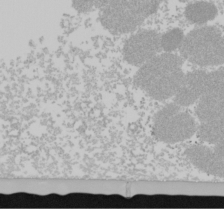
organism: Mouse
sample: Cancer cell death in ED-1 cells